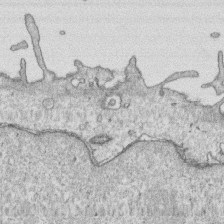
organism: Human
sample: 1205lu cells